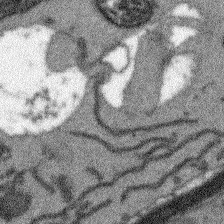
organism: Arabidopsis thaliana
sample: Root tip